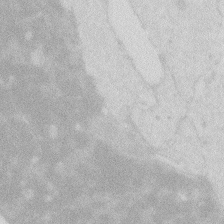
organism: Zebrafish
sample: Macrophage